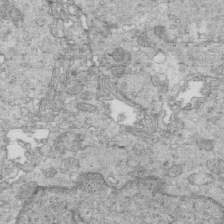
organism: Mouse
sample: Multiciliated cells